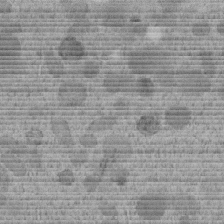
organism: C. elegans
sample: C. elegans embryo early stage